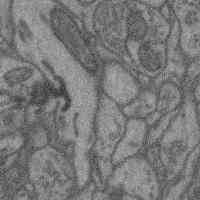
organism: Mouse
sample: Cerebral cortex